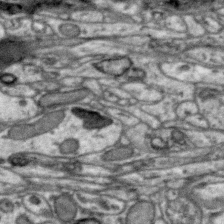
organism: Zebra finch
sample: Brain